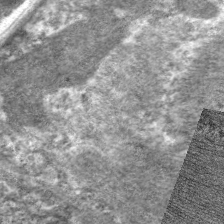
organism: C. elegans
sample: Pharynx